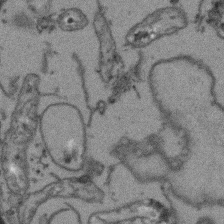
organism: Arabidopsis thaliana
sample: Root tip